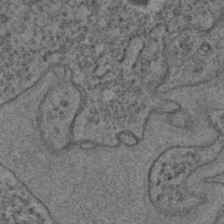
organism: C. elegans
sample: C. elegans embryo